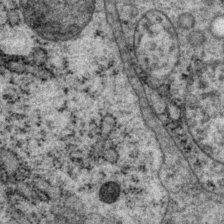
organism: P. pacificus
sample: Pharynx